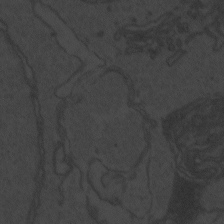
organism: Zebrafish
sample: Macrophage infected with Toxoplasma gondii